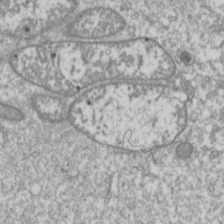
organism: Drosophila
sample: Cell division; meiosis; drosophila spermatocytes